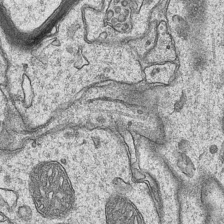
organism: Mouse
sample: CA1 Hippocampus